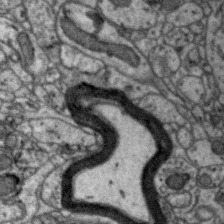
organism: Zebra finch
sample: Brain